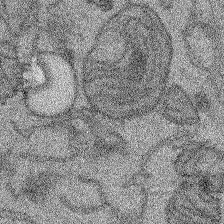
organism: Human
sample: HeLa cells